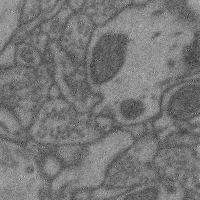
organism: Mouse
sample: Cerebral cortex